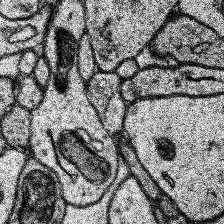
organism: Human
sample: Temporal Lobe